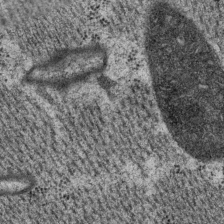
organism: P. pacificus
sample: Pharynx